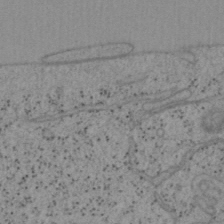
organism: Human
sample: HeLa cells